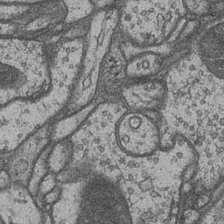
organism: Drosophila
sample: Optic medulla